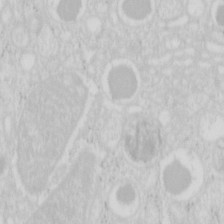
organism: Mouse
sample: Pancreas